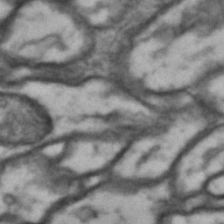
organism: Drosophila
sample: Brain